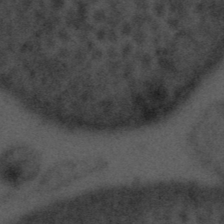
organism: Tuwongella immobilis